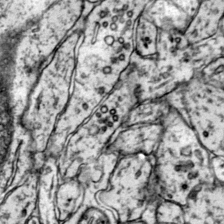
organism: Mouse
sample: Primary visual cortex